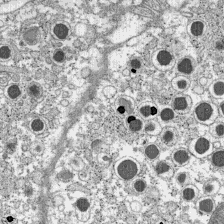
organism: C57BL Mouse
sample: Pancreatic islet